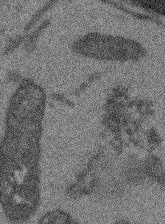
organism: Arabidopsis thaliana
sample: Root tip